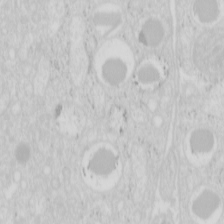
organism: Mouse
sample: Pancreas